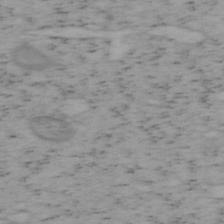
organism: Mouse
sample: OT-I killer T cells with ID8 ovarian cancer cells